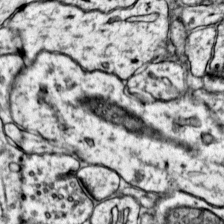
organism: Mouse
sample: Primary visual cortex